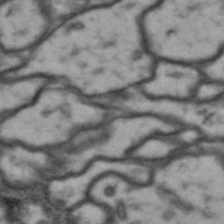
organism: Drosophila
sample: Brain